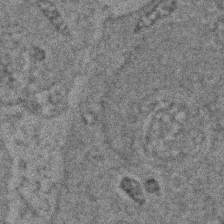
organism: Zebrafish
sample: Zebrafish embryo